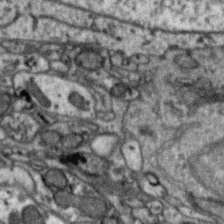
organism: Zebra finch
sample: Brain